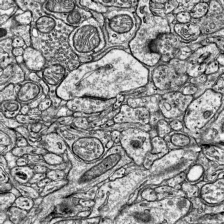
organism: Mouse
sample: Visual Cortex